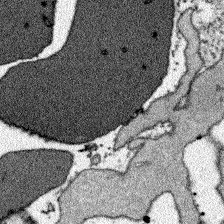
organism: Zebrafish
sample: Larval olfactory bulb